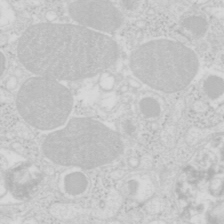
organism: Mouse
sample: Pancreas